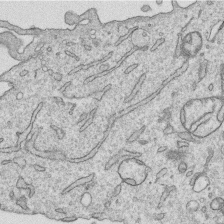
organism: Human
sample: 1205lu cells